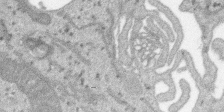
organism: Human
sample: Lung epithelial cells infected with SARS-CoV-2